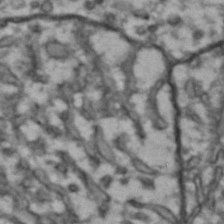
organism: Drosophila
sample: Brain